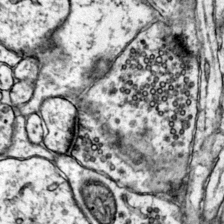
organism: Mouse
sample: Primary visual cortex